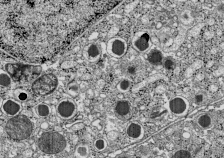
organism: C57BL Mouse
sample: Pancreatic islet